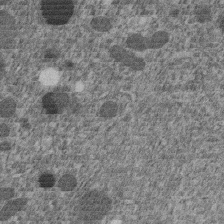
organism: C. elegans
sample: C. elegans embryo early stage